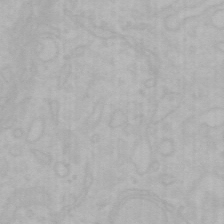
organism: Mouse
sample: Choroid plexus